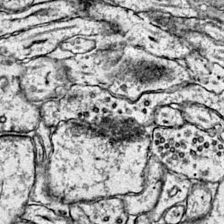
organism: Mouse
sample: Primary visual cortex